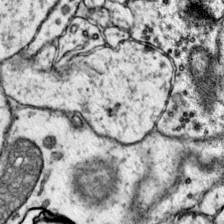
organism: Mouse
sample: Primary visual cortex